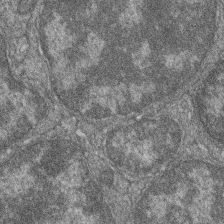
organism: Zebrafish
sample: Cilia; retinal pigment epithelium